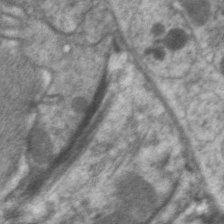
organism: C. elegans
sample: Pharynx